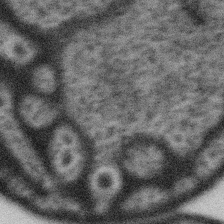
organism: Gemmata obscuriglobus